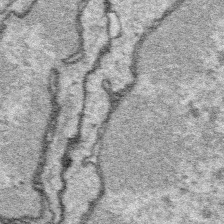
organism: Platynereis dumerilii